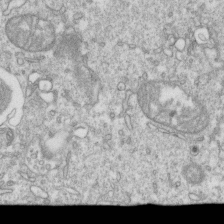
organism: Mouse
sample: Activated OT-1 CD8+ T cells